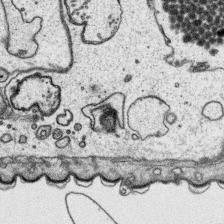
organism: Platynereis dumerilii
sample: Parapodia